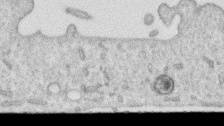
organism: Human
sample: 1205lu cells